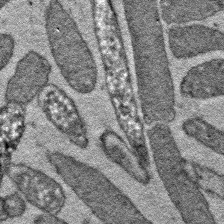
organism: E. coli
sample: E. Coli Bacteria